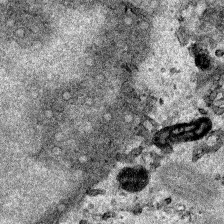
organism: Human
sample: Mitochondria in HCT116 cells